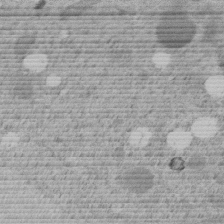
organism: C. elegans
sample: C. elegans embryo early stage